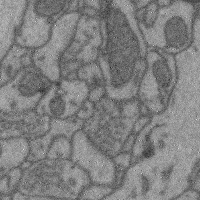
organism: Mouse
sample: Cerebral cortex